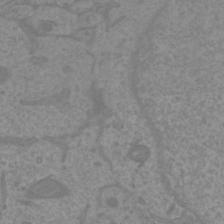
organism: Mouse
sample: Cortical neurons